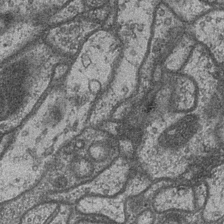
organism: Drosophila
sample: Optic medulla